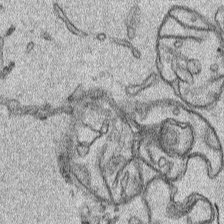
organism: Human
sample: Mitochondria in HCT116 cells